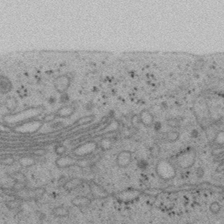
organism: Human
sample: HeLa cells